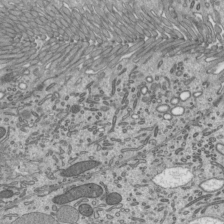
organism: Mouse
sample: Mouse epididymis efferent ductule cilia